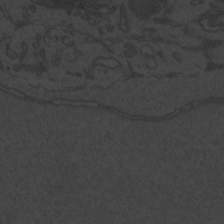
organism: Zebrafish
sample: Macrophage infected with Toxoplasma gondii